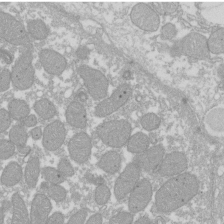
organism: Xenopus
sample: Cilia; centrioles in frog embryo cells